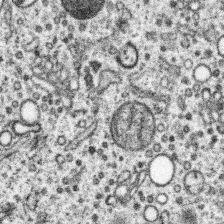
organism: Human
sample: HeLa cells